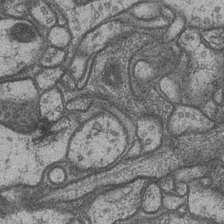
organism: Drosophila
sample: Optic medulla